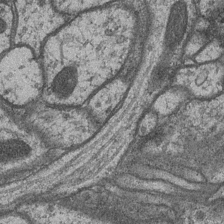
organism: Drosophila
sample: Optic medulla